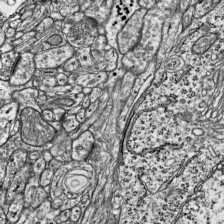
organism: Mouse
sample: Visual Cortex